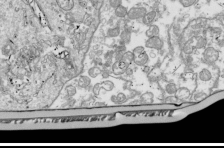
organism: Drosophila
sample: Cell division; meiosis; drosophila spermatocytes